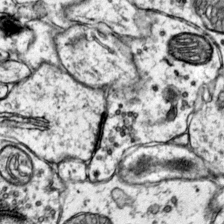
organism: Mouse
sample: Primary visual cortex